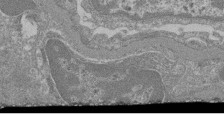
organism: Mouse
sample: Glomerulus